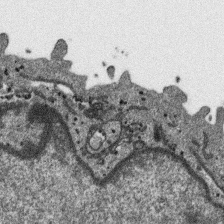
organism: Human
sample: Lung epithelial cells infected with SARS-CoV-2